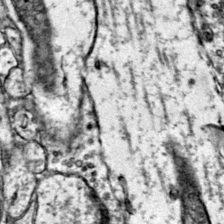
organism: Mouse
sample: Primary visual cortex